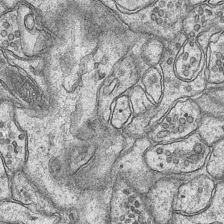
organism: Mouse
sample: CA1 Hippocampus